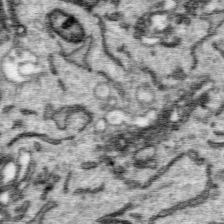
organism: Human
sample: HeLa cells